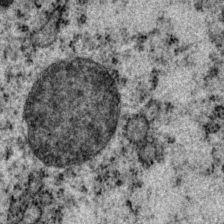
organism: P. pacificus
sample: Pharynx